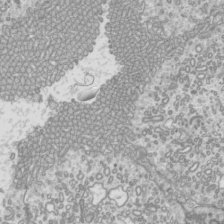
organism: Mouse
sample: Cilia; mouse epididymis